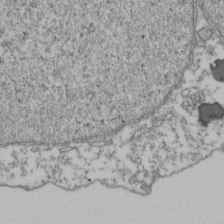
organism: Human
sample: Activated Jurkat CD4+ T cells